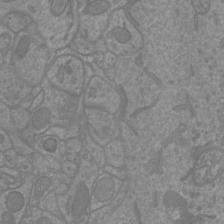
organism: Mouse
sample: Cortical neurons